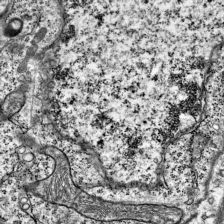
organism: Mouse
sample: Visual Cortex